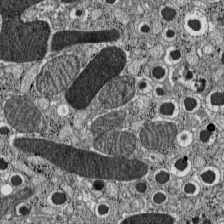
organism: C57BL Mouse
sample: Pancreatic islet